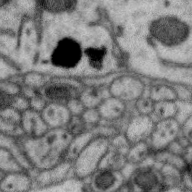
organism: Zebra finch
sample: Brain